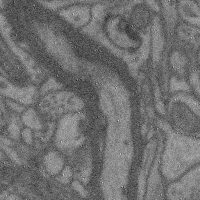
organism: Mouse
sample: Cerebral cortex